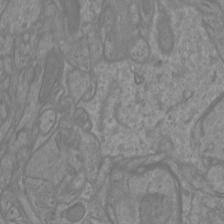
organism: Mouse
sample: Cortical neurons